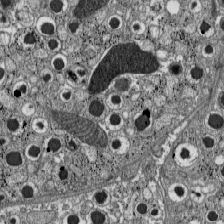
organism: C57BL Mouse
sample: Pancreatic islet